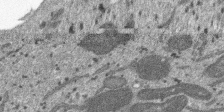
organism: Human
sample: Lung epithelial cells infected with SARS-CoV-2